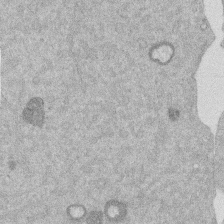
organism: Mouse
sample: Dividing mouse embryo 1 cell stage